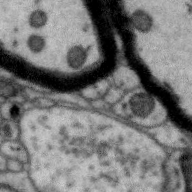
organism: Zebra finch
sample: Brain